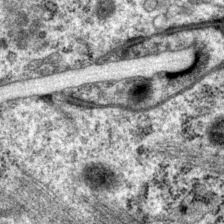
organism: P. pacificus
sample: Pharynx